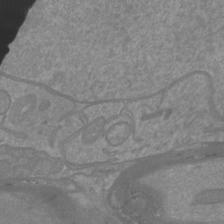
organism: Mouse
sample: Cortical neurons